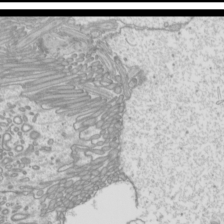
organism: Mouse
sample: Cilia; mouse epididymis